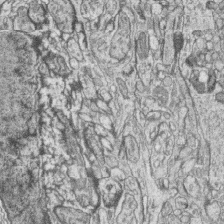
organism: Zebrafish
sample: synaptic ribbons in rod cells and cone cells